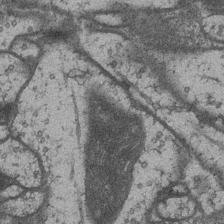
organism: Drosophila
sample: Optic medulla